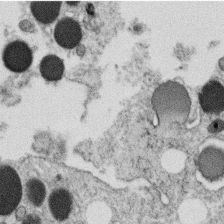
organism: C. elegans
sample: C. elegans oocyte; sperm cells